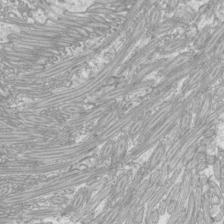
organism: Mouse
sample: Cilia; mouse epididymis